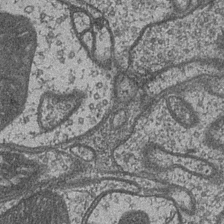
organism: Drosophila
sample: Optic medulla